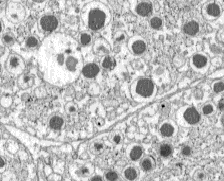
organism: C57BL Mouse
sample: Pancreatic islet